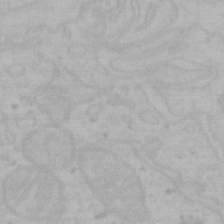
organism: Mouse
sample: Choroid plexus